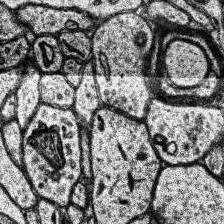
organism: Human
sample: Temporal Lobe